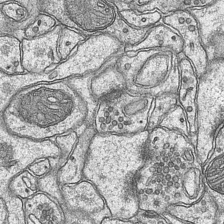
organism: Mouse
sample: CA1 Hippocampus